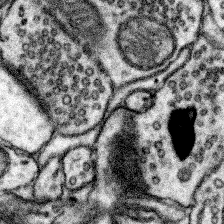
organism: Mouse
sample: Somatosensory cortex neuropil